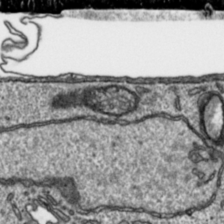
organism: Toxoplasma gondii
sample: Parasites in a vacuole inside a host cell